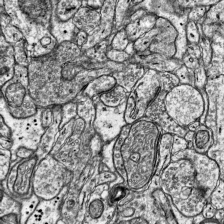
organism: Mouse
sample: Visual Cortex